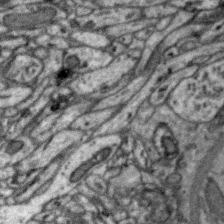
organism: Zebra finch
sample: Brain